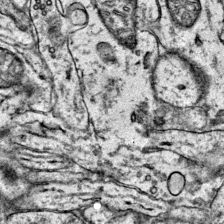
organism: Mouse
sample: Primary visual cortex